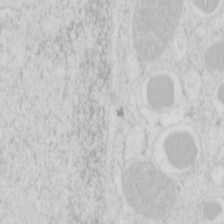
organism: Mouse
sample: Pancreas